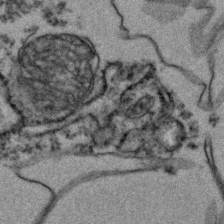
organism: Zebrafish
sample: Zebrafish embryo